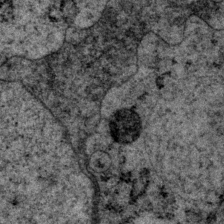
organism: P. pacificus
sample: Pharynx